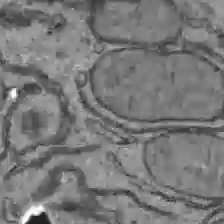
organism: C57BL Mouse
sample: Liver